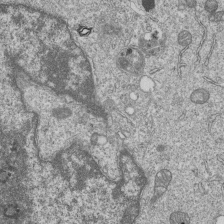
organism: Human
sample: MDA-MB-231 cells